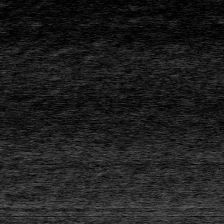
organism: Human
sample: HeLa cells